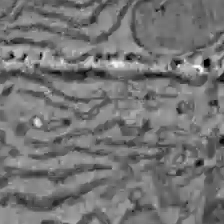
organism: C57BL Mouse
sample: Liver